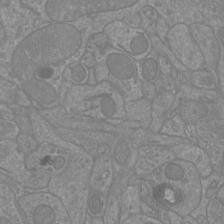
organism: Mouse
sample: Cortical neurons